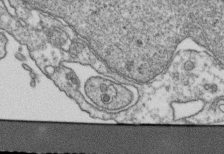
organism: Human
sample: Activated Jurkat CD4+ T cells